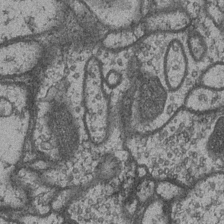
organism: Drosophila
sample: Optic medulla